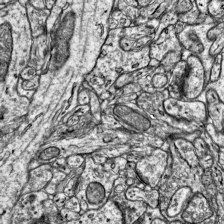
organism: Mouse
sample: Visual Cortex